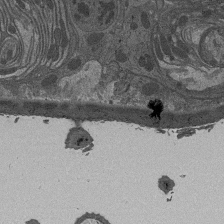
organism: Drosophila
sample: Antenna